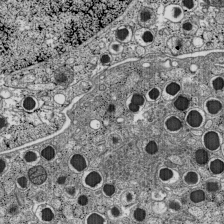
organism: C57BL Mouse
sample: Pancreatic islet